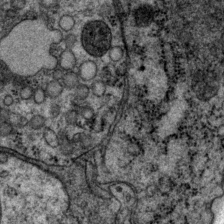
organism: P. pacificus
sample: Pharynx